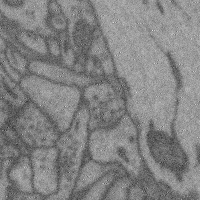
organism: Mouse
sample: Cerebral cortex